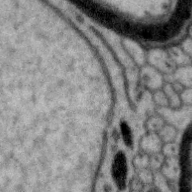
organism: Zebra finch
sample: Brain